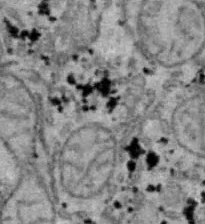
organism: Mouse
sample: Liver from an obese (ob/ob) mouse